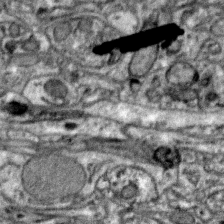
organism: Zebra finch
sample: Brain